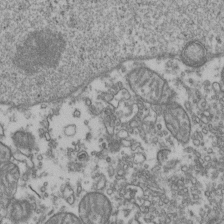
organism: Human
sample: Activated Jurkat CD4+ T cells